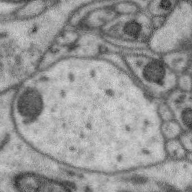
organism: Zebra finch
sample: Brain